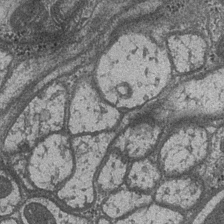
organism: Drosophila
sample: Optic medulla